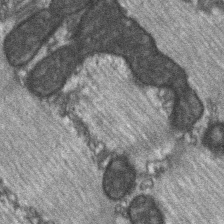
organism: C57BL Mouse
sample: Soleus